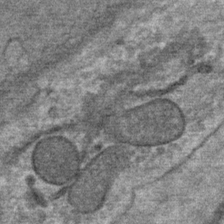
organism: Mouse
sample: Mouse Salivary gland